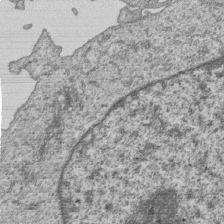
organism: Human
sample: MDA-MB-231 cells